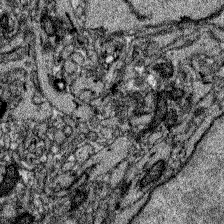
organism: Zebrafish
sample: Larval olfactory bulb